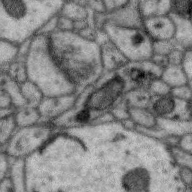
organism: Zebra finch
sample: Brain